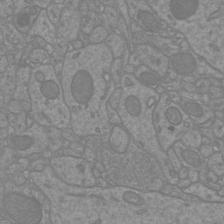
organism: Mouse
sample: Cortical neurons